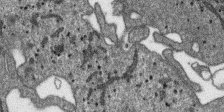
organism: Human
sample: Lung epithelial cells infected with SARS-CoV-2